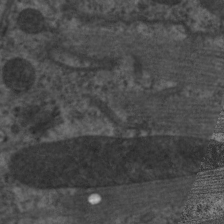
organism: C. elegans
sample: Pharynx